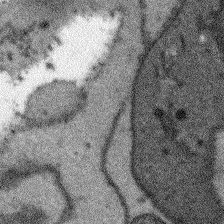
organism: Arabidopsis thaliana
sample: Root tip